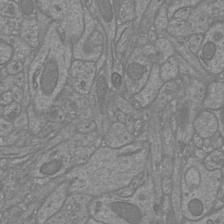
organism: Mouse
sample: Cortical neurons